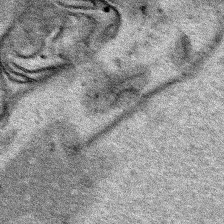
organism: Human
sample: Mitochondria in HCT116 cells